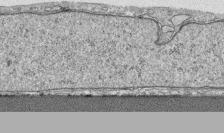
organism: Human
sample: CRL-1474